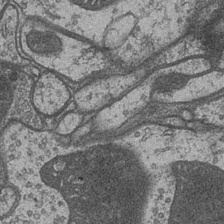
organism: Drosophila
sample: Optic medulla